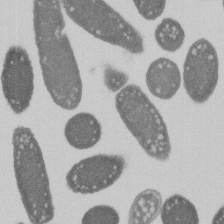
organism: E. coli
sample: Bacterial nucleoid